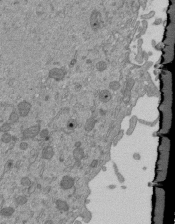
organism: Mouse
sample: ED-1 cell nuclei; centrioles